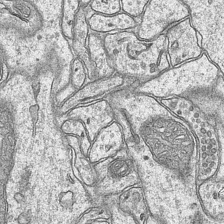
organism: Mouse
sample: CA1 Hippocampus